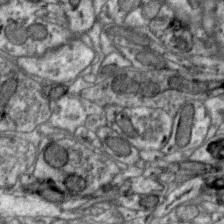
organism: Zebra finch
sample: Brain